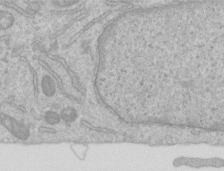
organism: Human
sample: Centriole in RPE cells